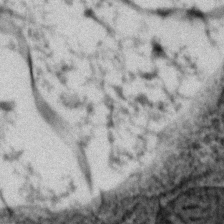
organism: Zebrafish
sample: Zebrafish embryo